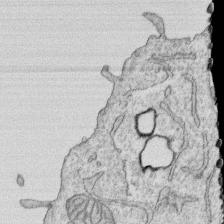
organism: Human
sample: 1205lu cells